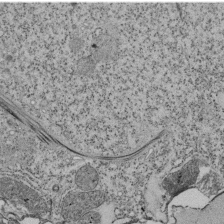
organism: Tetrahymena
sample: Cilia in tetrahymena